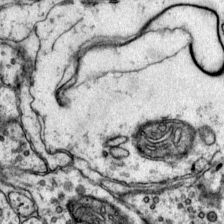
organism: Mouse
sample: Primary visual cortex